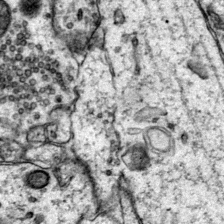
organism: Mouse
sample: Primary visual cortex